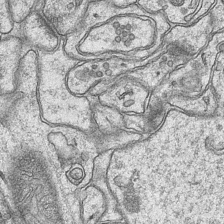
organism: Mouse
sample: CA1 Hippocampus